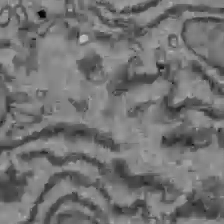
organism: C57BL Mouse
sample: Liver